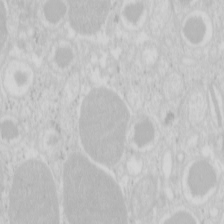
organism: Mouse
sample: Pancreas